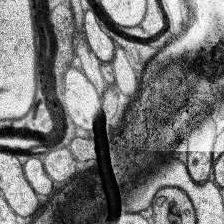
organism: Human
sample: Temporal Lobe